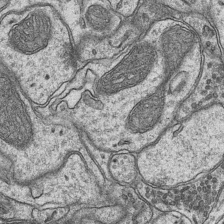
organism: Mouse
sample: CA1 Hippocampus